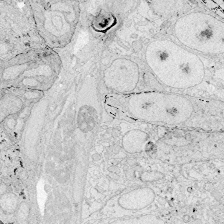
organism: Zebrafish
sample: Whole-Brain